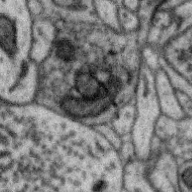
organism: Zebra finch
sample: Brain